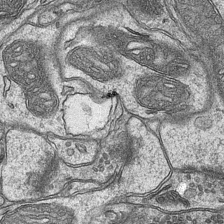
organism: Mouse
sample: CA1 Hippocampus